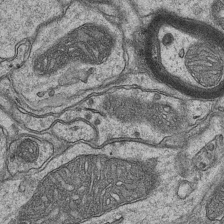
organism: Mouse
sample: CA1 Hippocampus